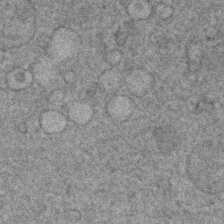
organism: Human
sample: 1205lu cells